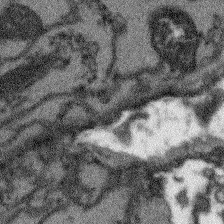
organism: Arabidopsis thaliana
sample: Root tip